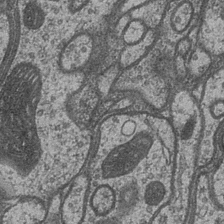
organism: Drosophila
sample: Optic medulla